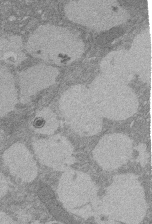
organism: Rat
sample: Salivary granule